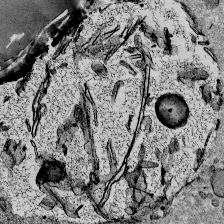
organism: Mouse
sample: Mouse Salivary gland